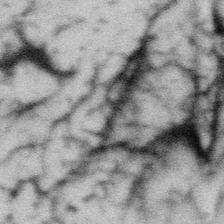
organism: Gemmata obscuriglobus